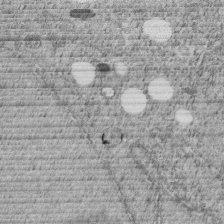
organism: C. elegans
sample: C. elegans embryo early stage